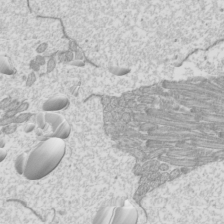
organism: Mouse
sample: Cilia; mouse epididymis